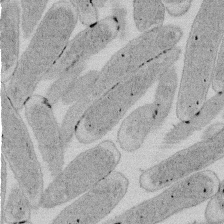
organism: E. coli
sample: Bacterial nucleoid